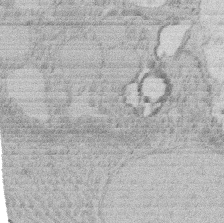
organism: Rat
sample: Salivary granule